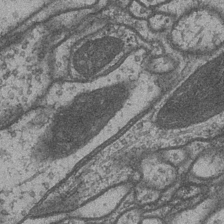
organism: Drosophila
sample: Optic medulla